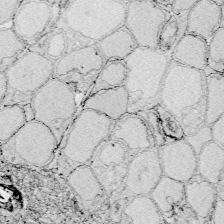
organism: Zebrafish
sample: Whole-Brain